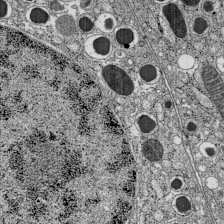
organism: C57BL Mouse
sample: Pancreatic islet